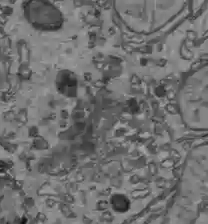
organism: C57BL Mouse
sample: Liver